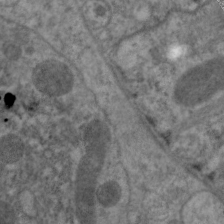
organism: C. elegans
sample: Pharynx